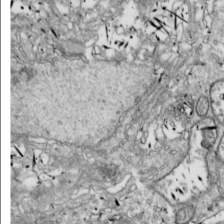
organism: Drosophila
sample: Cell division; meiosis; drosophila spermatocytes